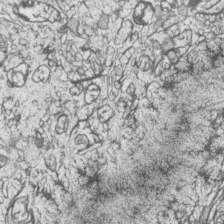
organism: Zebrafish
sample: synaptic ribbons in rod cells and cone cells